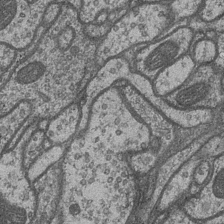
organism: Drosophila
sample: Optic medulla